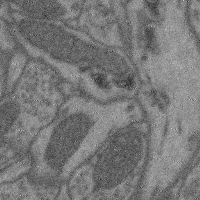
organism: Mouse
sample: Cerebral cortex